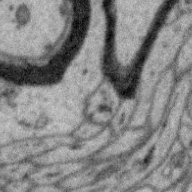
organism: Zebra finch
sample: Brain